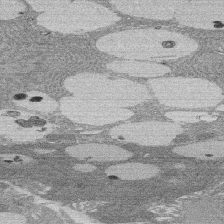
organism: Rat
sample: Salivary granule